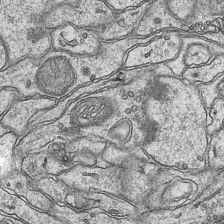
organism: Mouse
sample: CA1 Hippocampus